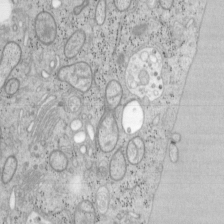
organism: Mouse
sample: OT-I killer T cells with ID8 ovarian cancer cells